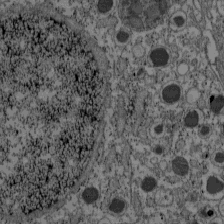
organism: C57BL Mouse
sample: Pancreatic islet